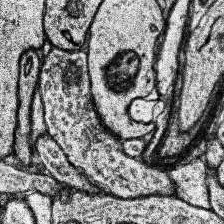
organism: Human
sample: Temporal Lobe